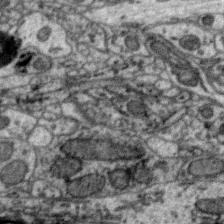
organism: Zebra finch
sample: Brain